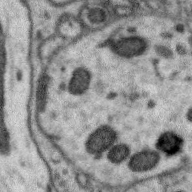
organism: Zebra finch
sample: Brain